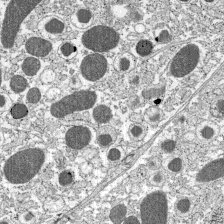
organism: C57BL Mouse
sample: Pancreatic islet